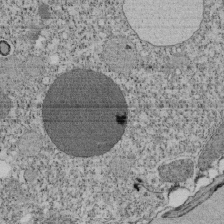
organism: Tetrahymena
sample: Cilia in tetrahymena